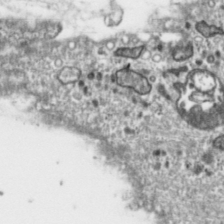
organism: Toxoplasma gondii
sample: Parasites in a vacuole inside a host cell